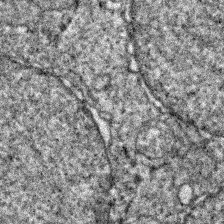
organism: Zebrafish